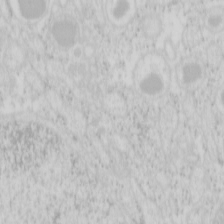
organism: Mouse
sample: Pancreas